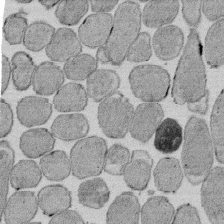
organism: E. coli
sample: Bacterial nucleoid